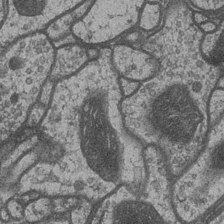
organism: Drosophila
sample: Optic medulla